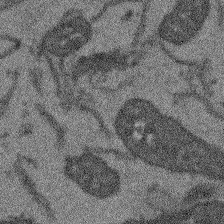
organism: Arabidopsis thaliana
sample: Root tip